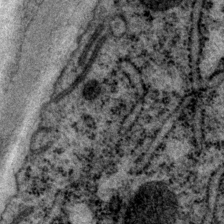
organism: P. pacificus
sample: Pharynx